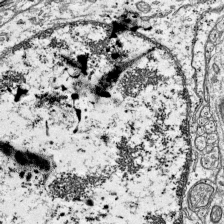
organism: Mouse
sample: Visual Cortex